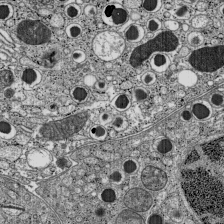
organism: C57BL Mouse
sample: Pancreatic islet